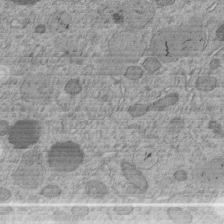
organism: C. elegans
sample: C. elegans embryo early stage